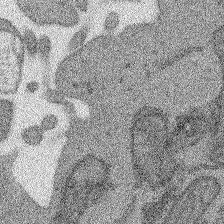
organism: Human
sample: HeLa cells